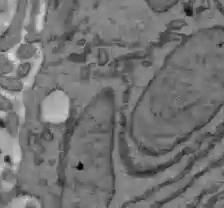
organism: C57BL Mouse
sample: Liver